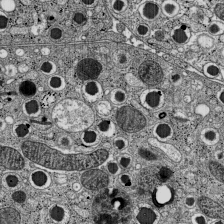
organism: C57BL Mouse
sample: Pancreatic islet